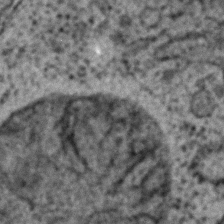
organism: C. elegans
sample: C. elegans embryo